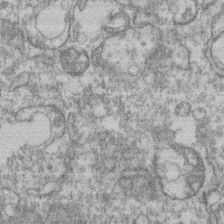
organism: Mouse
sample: T cell stromal cell synapse